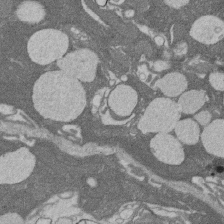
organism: Rat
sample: Salivary granule